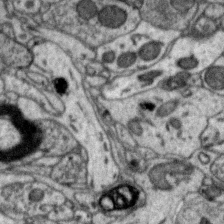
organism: Zebra finch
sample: Brain